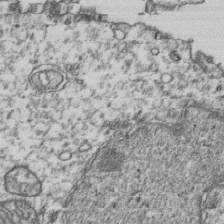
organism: Human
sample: Activated Jurkat CD4+ T cells